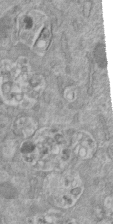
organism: Mouse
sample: ED-1 cell nuclei; centrioles